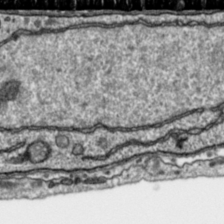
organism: Toxoplasma gondii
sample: Parasites in a vacuole inside a host cell